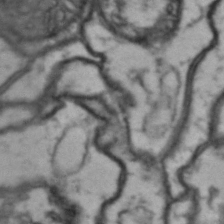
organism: Drosophila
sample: Brain